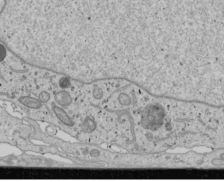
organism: Human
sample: Mitochondria in U2OS cells